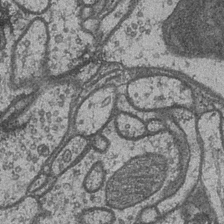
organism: Drosophila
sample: Optic medulla